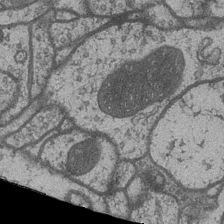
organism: Drosophila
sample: Optic medulla